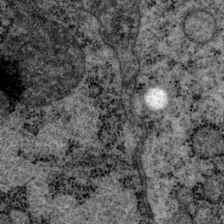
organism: P. pacificus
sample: Pharynx